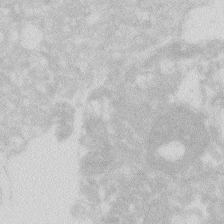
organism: Zebrafish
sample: Macrophage